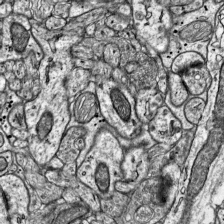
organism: Mouse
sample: Visual Cortex